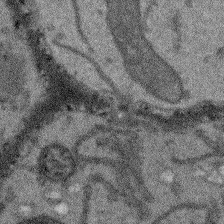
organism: Arabidopsis thaliana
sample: Root tip